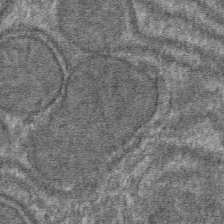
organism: Mouse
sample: Mouse hepatocytes